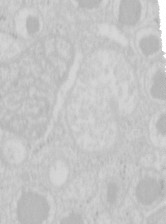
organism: Mouse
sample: Pancreas